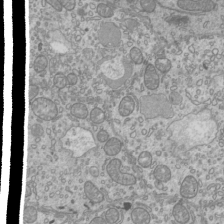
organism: Mouse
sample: Cilia; mouse epididymis